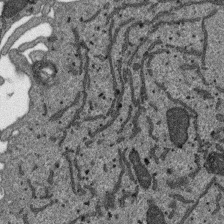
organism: Human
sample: Lung epithelial cells infected with SARS-CoV-2